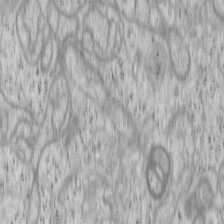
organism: Human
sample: HeLa cells